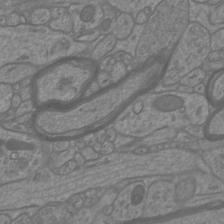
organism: Mouse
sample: Cortical neurons